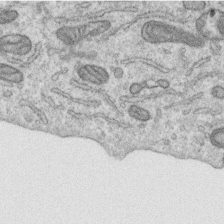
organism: Human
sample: Centriole in RPE cells